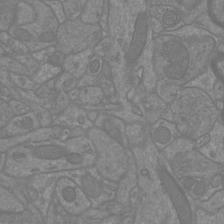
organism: Mouse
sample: Cortical neurons